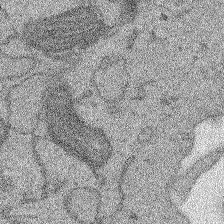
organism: Human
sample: HeLa cells